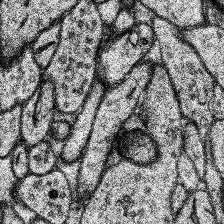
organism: Human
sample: Temporal Lobe